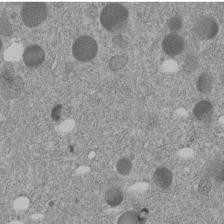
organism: C. elegans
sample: C. elegans embryo early stage